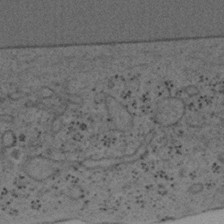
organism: Human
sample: HeLa cells